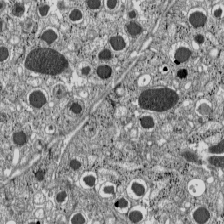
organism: C57BL Mouse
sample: Pancreatic islet